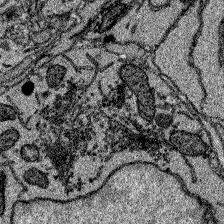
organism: Zebrafish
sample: Larval olfactory bulb